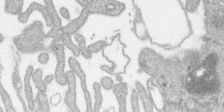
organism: Human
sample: Lung epithelial cells infected with SARS-CoV-2